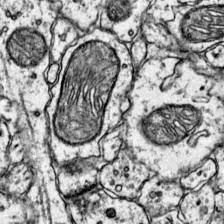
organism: Mouse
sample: Primary visual cortex